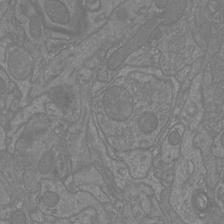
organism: Mouse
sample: Cortical neurons